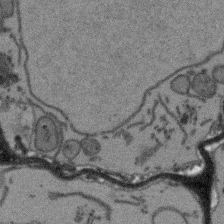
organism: Arabidopsis thaliana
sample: Root tip